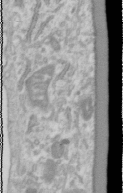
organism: Human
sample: Cilia; basal body in RPE cells